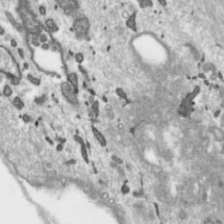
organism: Toxoplasma gondii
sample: Parasites in a vacuole inside a host cell